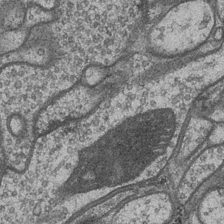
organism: Drosophila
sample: Optic medulla